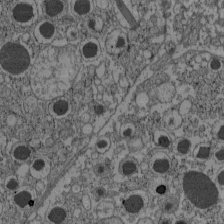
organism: C57BL Mouse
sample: Pancreatic islet